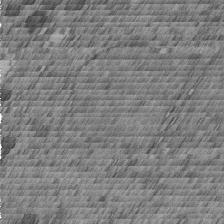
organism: C. elegans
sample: C. elegans embryo early stage